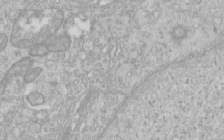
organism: Human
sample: Centriole in RPE cells